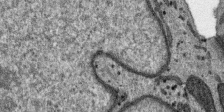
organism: Human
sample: Lung epithelial cells, uninfected (mock) control